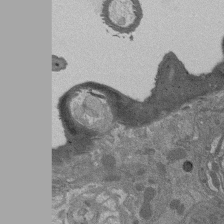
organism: Drosophila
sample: Antenna